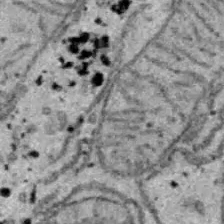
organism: Mouse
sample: Liver from an obese (ob/ob) mouse